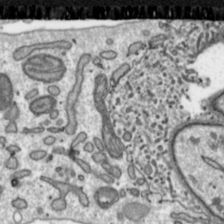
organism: Toxoplasma gondii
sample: Parasites in a vacuole inside a host cell